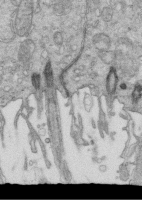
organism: Mouse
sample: Multiciliated cells